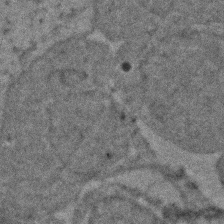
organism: Zebrafish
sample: Zebrafish embryo